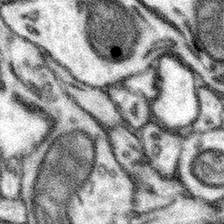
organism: Mouse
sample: Somatosensory cortex neuropil